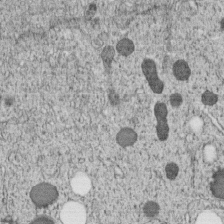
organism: C. elegans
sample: C. elegans embryo early stage